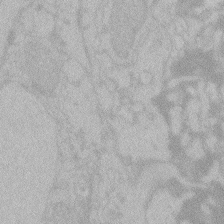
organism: Zebrafish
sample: Macrophage infected with Toxoplasma gondii